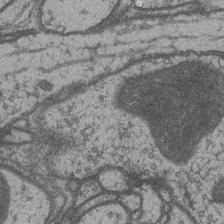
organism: Drosophila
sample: Optic medulla